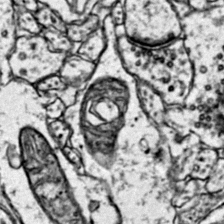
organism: Mouse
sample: Primary visual cortex